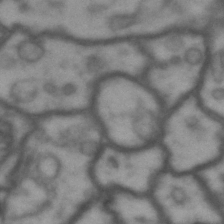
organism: Drosophila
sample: Brain